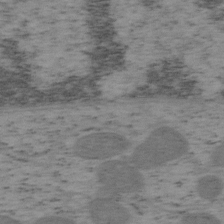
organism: Mouse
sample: OT-I killer T cells with ID8 ovarian cancer cells